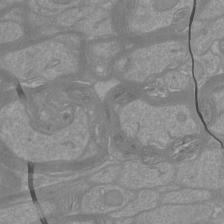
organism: Mouse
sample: Cortical neurons